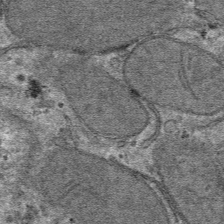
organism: Mouse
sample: Mouse hepatocytes